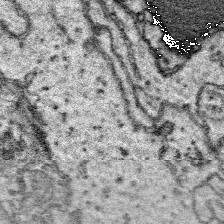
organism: Platynereis dumerilii